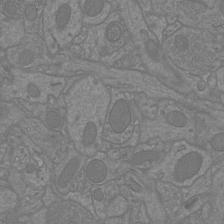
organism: Mouse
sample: Cortical neurons